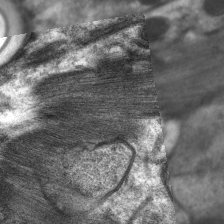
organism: C. elegans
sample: Pharynx